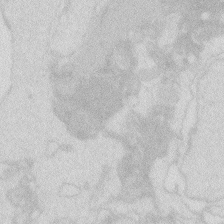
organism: Zebrafish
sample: Macrophage